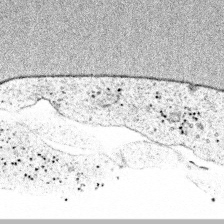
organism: Human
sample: HeLa cells